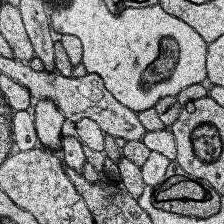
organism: Human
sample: Temporal Lobe